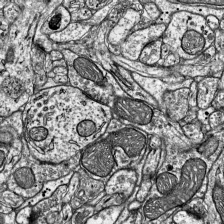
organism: Mouse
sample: Visual Cortex